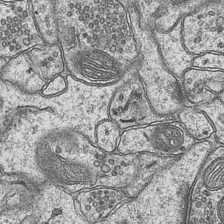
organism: Mouse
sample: CA1 Hippocampus